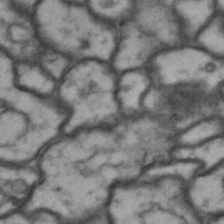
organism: Drosophila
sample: Brain